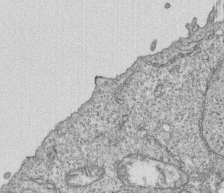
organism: Human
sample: HeLa cell HIV synapse